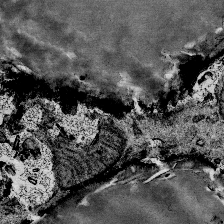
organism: Mouse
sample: Mouse Salivary gland